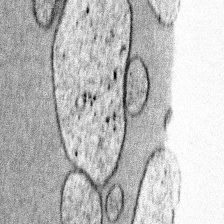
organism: Human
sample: HeLa cells